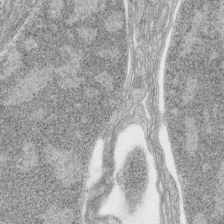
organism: Zebrafish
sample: synaptic ribbons in rod cells and cone cells